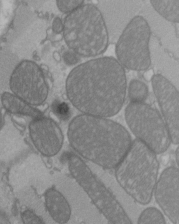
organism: C57BL Mouse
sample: Heart